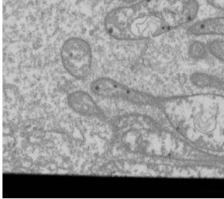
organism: Drosophila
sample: Cell division; meiosis; drosophila spermatocytes